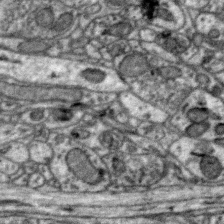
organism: Zebra finch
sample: Brain